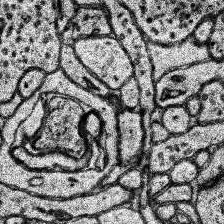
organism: Human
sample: Temporal Lobe